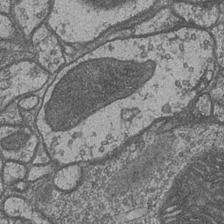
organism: Drosophila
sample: Optic medulla